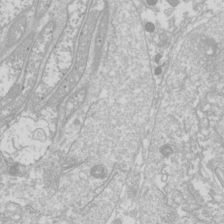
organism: Drosophila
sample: Cell division; meiosis; drosophila spermatocytes